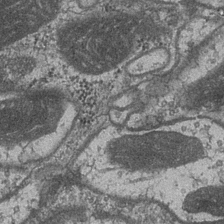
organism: Drosophila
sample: Optic medulla